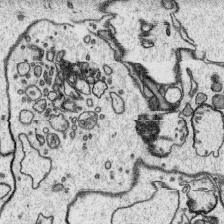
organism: Platynereis dumerilii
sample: Parapodia